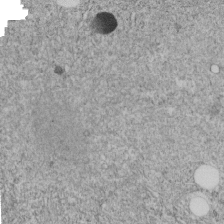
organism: C. elegans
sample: C. elegans embryo early stage